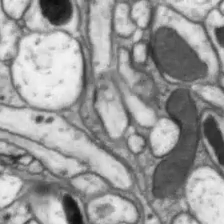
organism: Drosophila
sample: Optic lobe